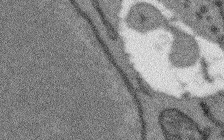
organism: Arabidopsis thaliana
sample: Root tip